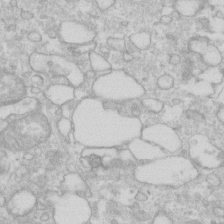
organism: Human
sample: Fibroblast cells